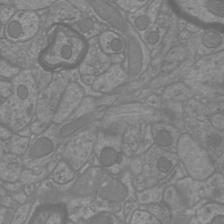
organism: Mouse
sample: Cortical neurons